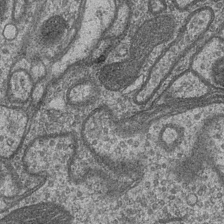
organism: Drosophila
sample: Optic medulla